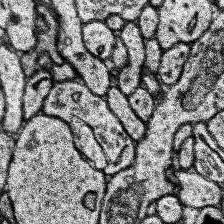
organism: Human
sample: Temporal Lobe